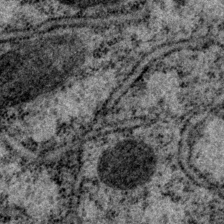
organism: P. pacificus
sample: Pharynx